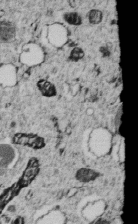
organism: C. elegans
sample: C. elegans embryo early stage